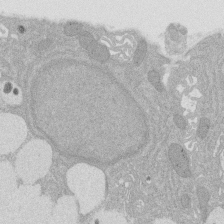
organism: Rat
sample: Salivary granule